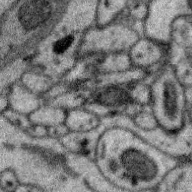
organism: Zebra finch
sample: Brain